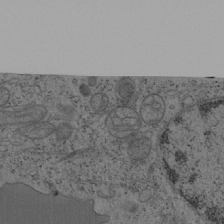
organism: Human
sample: HeLa cells